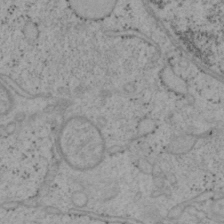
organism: Human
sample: HeLa cells